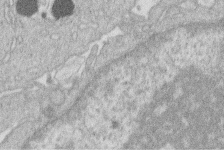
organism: Human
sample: Macrophage cells